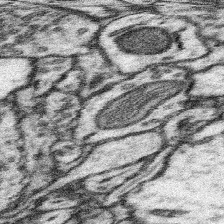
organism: Mouse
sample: Somatosensory cortex neuropil